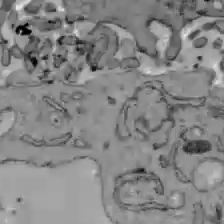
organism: C57BL Mouse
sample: Liver